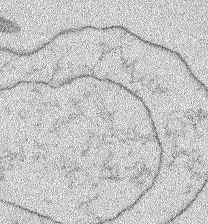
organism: Human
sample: HeLa cells